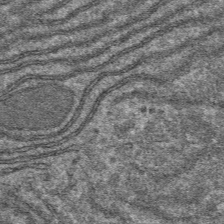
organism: Mouse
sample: Mouse hepatocytes